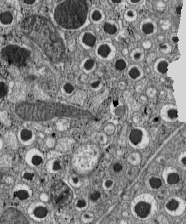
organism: C57BL Mouse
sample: Pancreatic islet